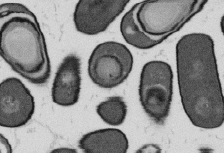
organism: B. subtilis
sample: Bacterial spore